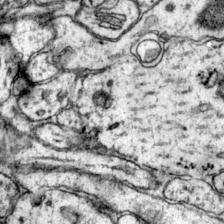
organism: Mouse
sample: Primary visual cortex